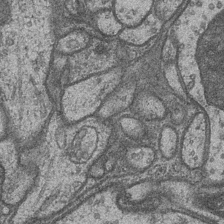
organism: Drosophila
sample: Optic medulla